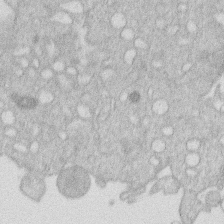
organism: Human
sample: Macrophage cells